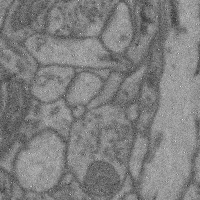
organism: Mouse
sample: Cerebral cortex